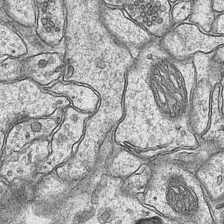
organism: Mouse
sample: CA1 Hippocampus